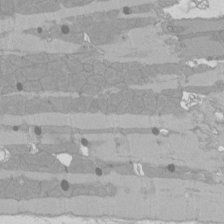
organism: Rat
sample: Left ventricle